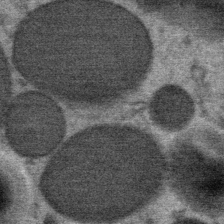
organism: Mouse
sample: Mouse Salivary gland